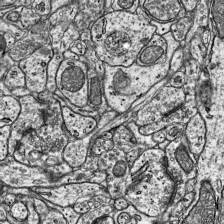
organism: Mouse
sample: Visual Cortex